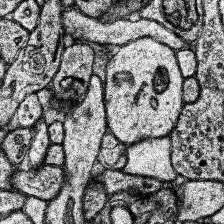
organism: Human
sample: Temporal Lobe